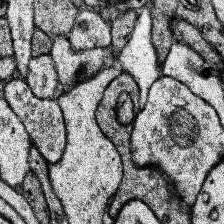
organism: Human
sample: Temporal Lobe